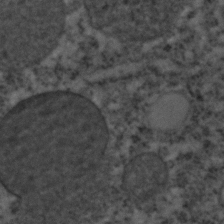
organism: C. elegans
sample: C. elegans embryo